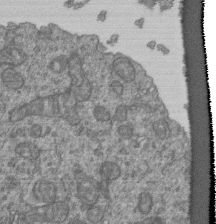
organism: Human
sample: Retinal organoid Rod and Cone cells